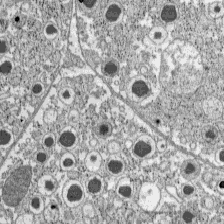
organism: C57BL Mouse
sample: Pancreatic islet